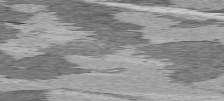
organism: C57BL Mouse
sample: Heart